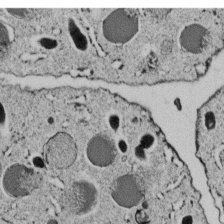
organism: C. elegans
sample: C. elegans embryo early stage